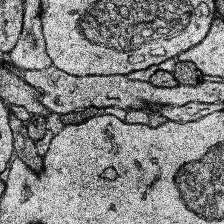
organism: Human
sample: Temporal Lobe